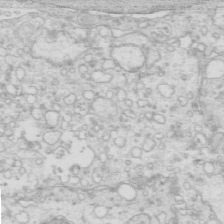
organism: Mouse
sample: Multiciliated cells